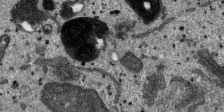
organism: Human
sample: Lung epithelial cells, uninfected (mock) control